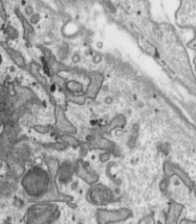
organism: Toxoplasma gondii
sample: Parasites in a vacuole inside a host cell